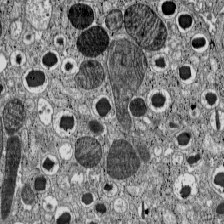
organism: C57BL Mouse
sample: Pancreatic islet